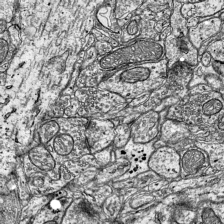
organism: Mouse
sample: Visual Cortex